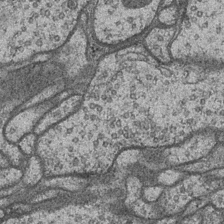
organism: Drosophila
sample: Optic medulla